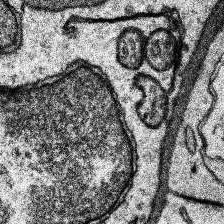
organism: Human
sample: Temporal Lobe